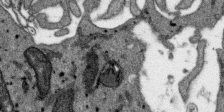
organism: Human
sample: Lung epithelial cells, uninfected (mock) control